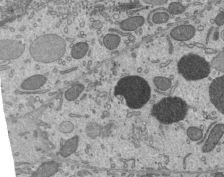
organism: Mouse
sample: Mouse epididymis efferent ductule cilia